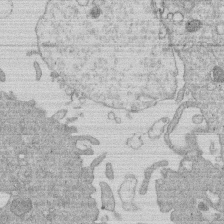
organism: Human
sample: Macrophage cells